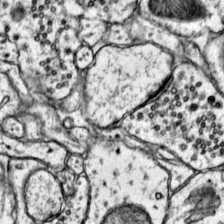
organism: Mouse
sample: Primary visual cortex